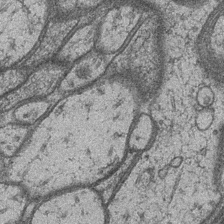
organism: Drosophila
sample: Optic medulla